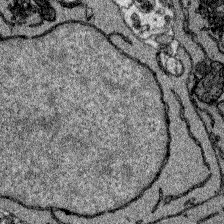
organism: Zebrafish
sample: Larval olfactory bulb